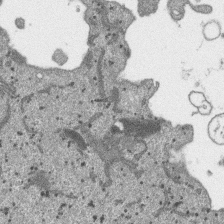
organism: Human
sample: Lung epithelial cells infected with SARS-CoV-2